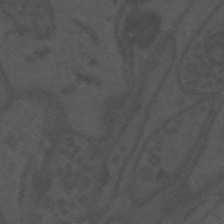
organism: Mouse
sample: Suprachiasmatic nucleus